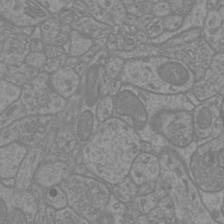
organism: Mouse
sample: Cortical neurons